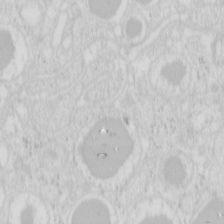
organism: Mouse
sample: Pancreas